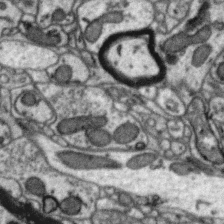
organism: Zebra finch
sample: Brain